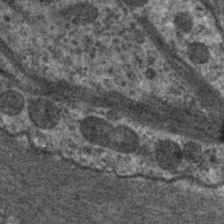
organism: C. elegans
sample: Pharynx